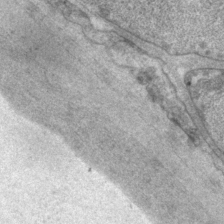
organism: P. pacificus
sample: Pharynx